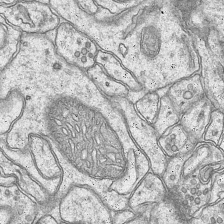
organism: Mouse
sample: CA1 Hippocampus